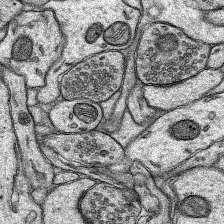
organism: Rat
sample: Hippocampus